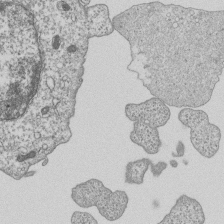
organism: Human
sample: MDA-MB-231 cells